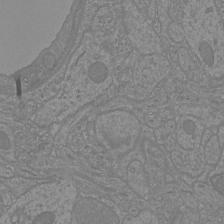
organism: Mouse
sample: Cortical neurons